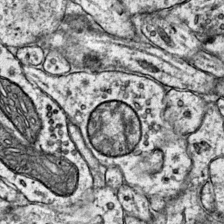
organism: Mouse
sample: Primary visual cortex